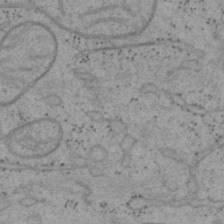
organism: Human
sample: HeLa cells